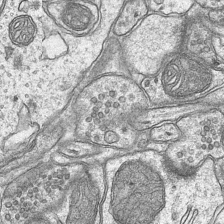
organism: Mouse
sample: CA1 Hippocampus